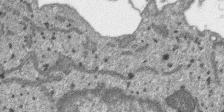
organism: Human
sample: Lung epithelial cells infected with SARS-CoV-2